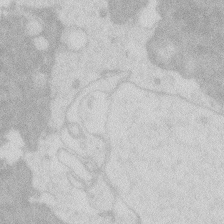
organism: Zebrafish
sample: Macrophage